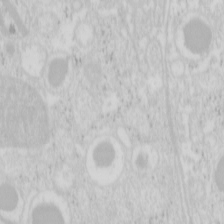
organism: Mouse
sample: Pancreas